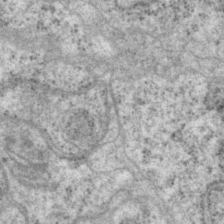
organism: P. pacificus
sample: Pharynx